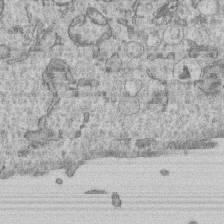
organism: Human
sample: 1205lu cells